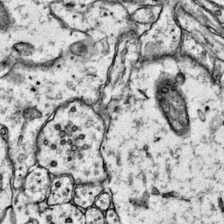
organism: Mouse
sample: Primary visual cortex